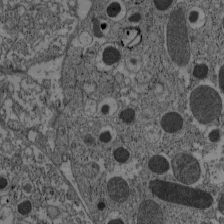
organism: C57BL Mouse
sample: Pancreatic islet